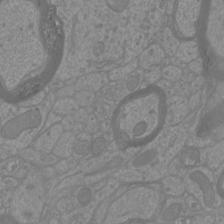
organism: Mouse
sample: Cortical neurons